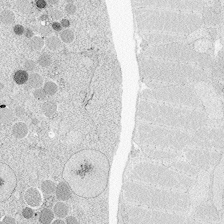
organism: Zebrafish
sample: Whole-Brain